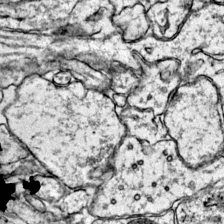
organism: Mouse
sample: Primary visual cortex